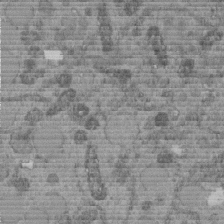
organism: C. elegans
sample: C. elegans embryo early stage